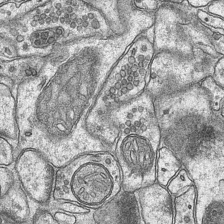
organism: Mouse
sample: CA1 Hippocampus